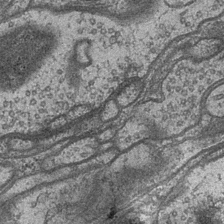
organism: Drosophila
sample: Optic medulla